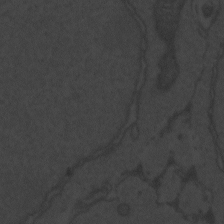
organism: Zebrafish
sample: Macrophage infected with Toxoplasma gondii